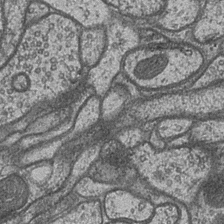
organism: Drosophila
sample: Optic medulla